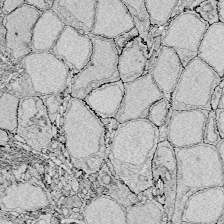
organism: Zebrafish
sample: Whole-Brain